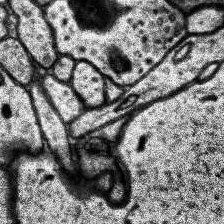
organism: Human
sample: Temporal Lobe